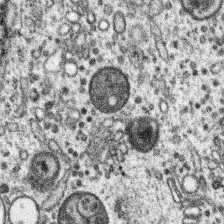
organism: Human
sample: HeLa cells